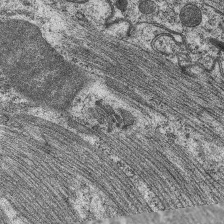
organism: C. elegans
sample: Pharynx